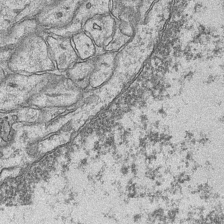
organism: Mouse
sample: CA1 Hippocampus